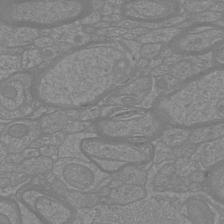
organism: Mouse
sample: Cortical neurons